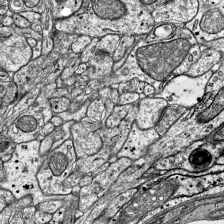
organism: Mouse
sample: Visual Cortex